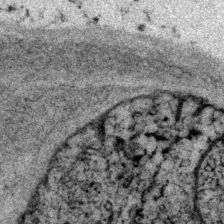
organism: P. pacificus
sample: Pharynx